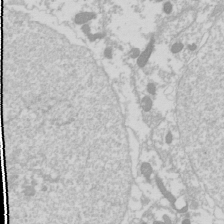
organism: Drosophila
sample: Cell division; meiosis; drosophila spermatocytes